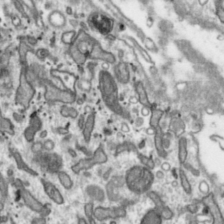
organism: Toxoplasma gondii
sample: Parasites in a vacuole inside a host cell